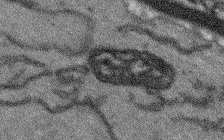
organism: Arabidopsis thaliana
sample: Root tip